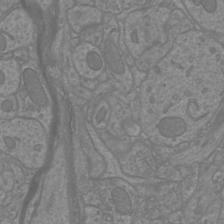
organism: Mouse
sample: Cortical neurons